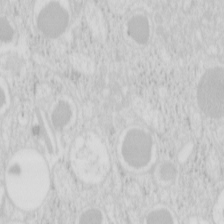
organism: Mouse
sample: Pancreas